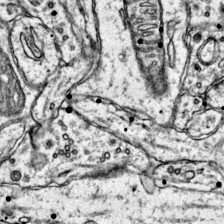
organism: Mouse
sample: Primary visual cortex